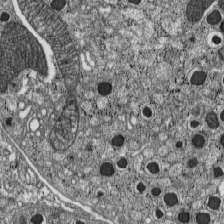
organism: C57BL Mouse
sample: Pancreatic islet